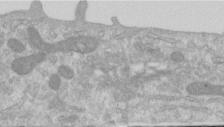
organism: Human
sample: Centriole in RPE cells